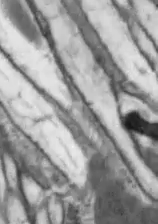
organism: Drosophila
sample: Optic lobe